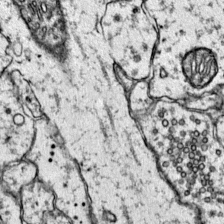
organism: Mouse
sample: Primary visual cortex